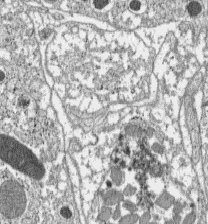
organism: C57BL Mouse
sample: Pancreatic islet